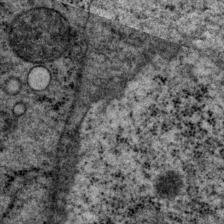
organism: P. pacificus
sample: Pharynx